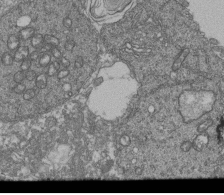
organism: Human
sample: Retinal organoid Rod and Cone cells